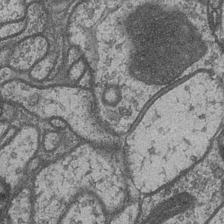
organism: Drosophila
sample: Optic medulla